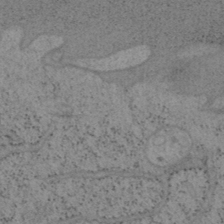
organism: Mouse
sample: OT-I killer T cells with ID8 ovarian cancer cells